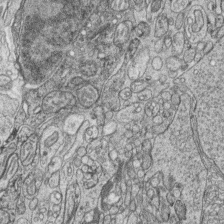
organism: Zebrafish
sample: synaptic ribbons in rod cells and cone cells